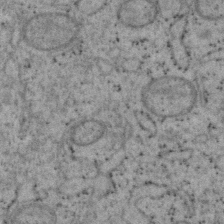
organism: Human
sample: HeLa cells